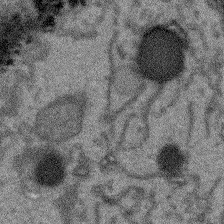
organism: Arabidopsis thaliana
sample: Root tip